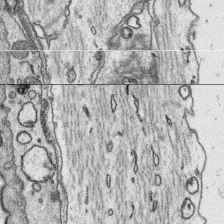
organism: Platynereis dumerilii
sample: Parapodia